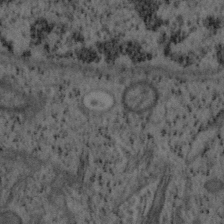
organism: Human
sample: HeLa cells